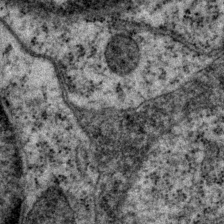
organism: P. pacificus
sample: Pharynx